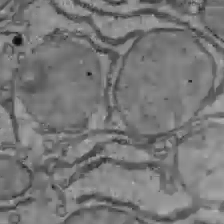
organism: C57BL Mouse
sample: Liver